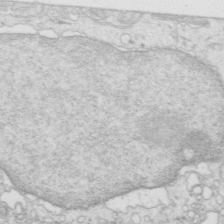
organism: Mouse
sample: Multiciliated cells